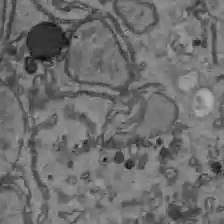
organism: C57BL Mouse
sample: Liver